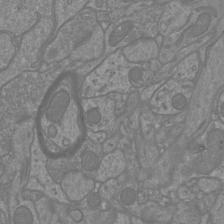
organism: Mouse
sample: Cortical neurons